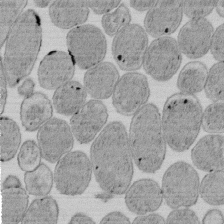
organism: E. coli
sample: Bacterial nucleoid